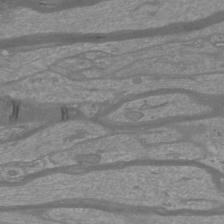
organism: Mouse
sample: Cortical neurons